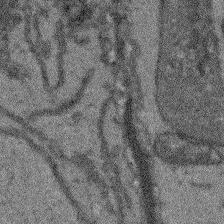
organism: Arabidopsis thaliana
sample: Root tip